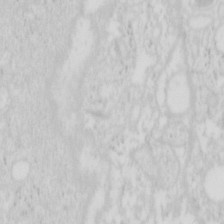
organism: Mouse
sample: Pancreas